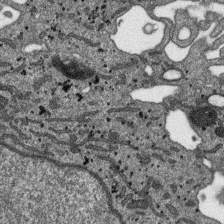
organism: Human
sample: Lung epithelial cells infected with SARS-CoV-2